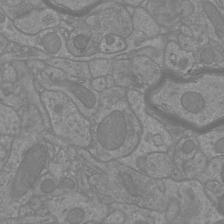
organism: Mouse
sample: Cortical neurons